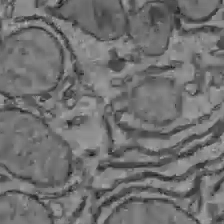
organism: C57BL Mouse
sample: Liver